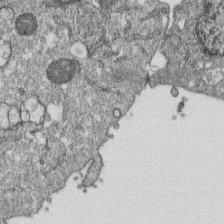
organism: African green monkey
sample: Vero E6 cells infected with SARS-CoV-2